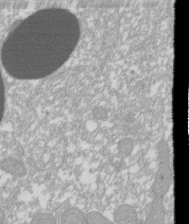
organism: Xenopus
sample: Cilia; centrioles in frog embryo cells